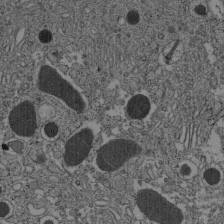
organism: C57BL Mouse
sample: Pancreatic islet